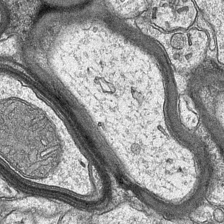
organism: Mouse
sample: CA1 Hippocampus